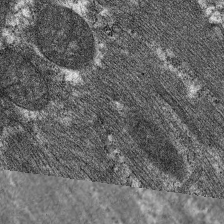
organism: C. elegans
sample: Pharynx